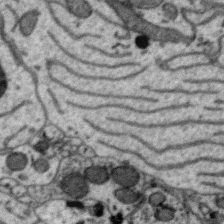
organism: Zebra finch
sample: Brain